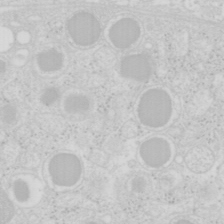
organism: Mouse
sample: Pancreas